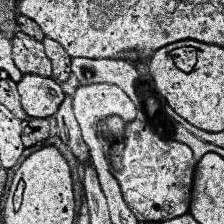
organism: Human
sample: Temporal Lobe